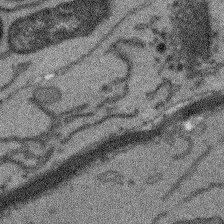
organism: Arabidopsis thaliana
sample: Root tip